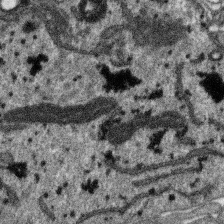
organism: Human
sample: Lung epithelial cells infected with SARS-CoV-2